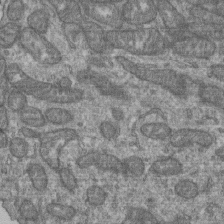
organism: Human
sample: Retinal organoid Rod and Cone cells